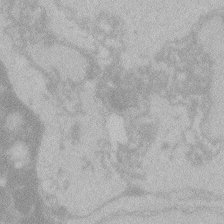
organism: Zebrafish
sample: Macrophage infected with Toxoplasma gondii